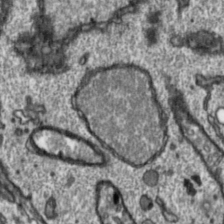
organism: Toxoplasma gondii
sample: Parasites in a vacuole inside a host cell